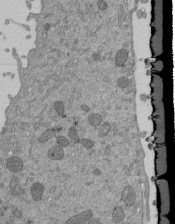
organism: Mouse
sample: ED-1 cell nuclei; centrioles